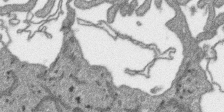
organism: Human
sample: Lung epithelial cells infected with SARS-CoV-2